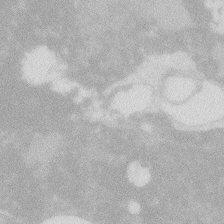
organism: Zebrafish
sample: Macrophage